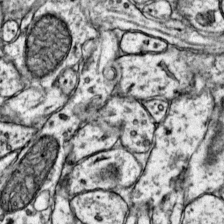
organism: Mouse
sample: Primary visual cortex